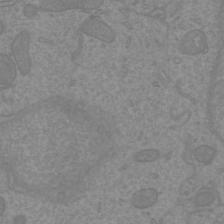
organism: Mouse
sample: Cortical neurons